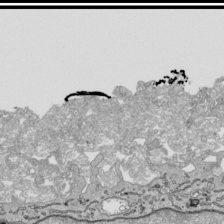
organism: Human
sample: Mitochondria in HCT116 cells